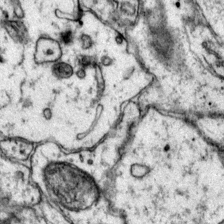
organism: Mouse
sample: Primary visual cortex